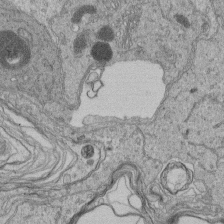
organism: Human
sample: Retinal organoid Rod and Cone cells